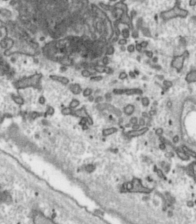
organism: Toxoplasma gondii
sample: Parasites in a vacuole inside a host cell